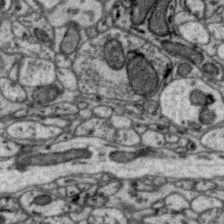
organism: Zebra finch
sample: Brain